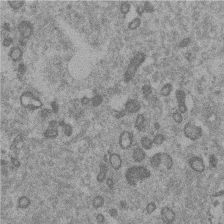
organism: Mouse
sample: Dividing mouse embryo 1 cell stage